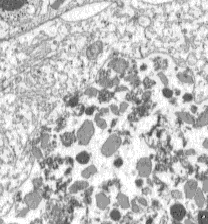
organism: C57BL Mouse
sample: Pancreatic islet